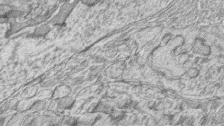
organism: Zebrafish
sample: synaptic ribbons in rod cells and cone cells